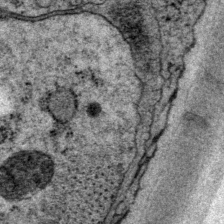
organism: P. pacificus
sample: Pharynx